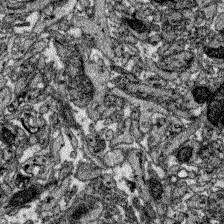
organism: Zebrafish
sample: Larval olfactory bulb